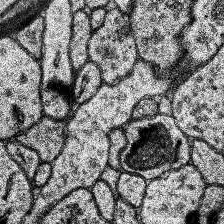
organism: Human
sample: Temporal Lobe